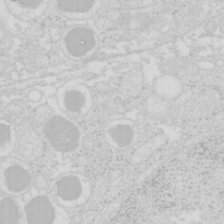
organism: Mouse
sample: Pancreas